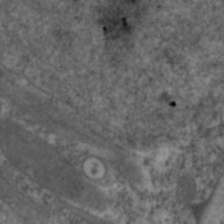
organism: C. elegans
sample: Pharynx